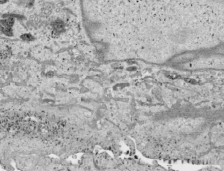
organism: Human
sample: Mitochondria in HCT116 cells